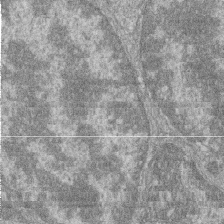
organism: Zebrafish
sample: Cilia; retinal pigment epithelium